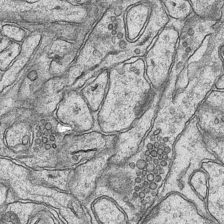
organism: Mouse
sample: CA1 Hippocampus